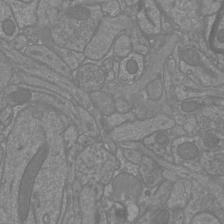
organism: Mouse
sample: Cortical neurons